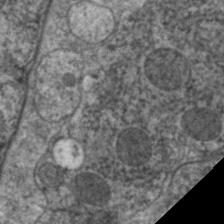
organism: C. elegans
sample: Pharynx